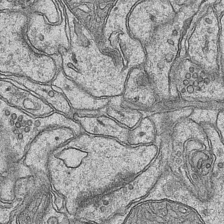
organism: Mouse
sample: CA1 Hippocampus